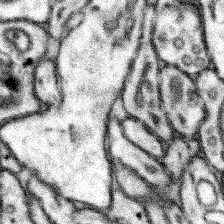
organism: Mouse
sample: Somatosensory cortex neuropil